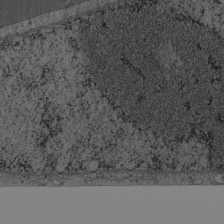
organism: African green monkey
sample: COS-7 cells